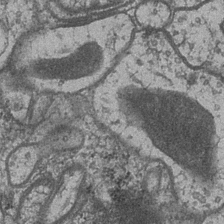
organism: Drosophila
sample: Optic medulla